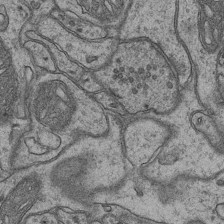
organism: Mouse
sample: CA1 Hippocampus